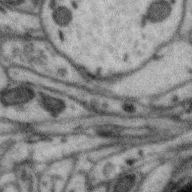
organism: Zebra finch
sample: Brain